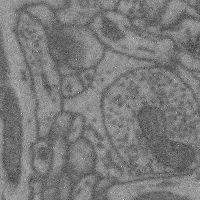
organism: Mouse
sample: Cerebral cortex